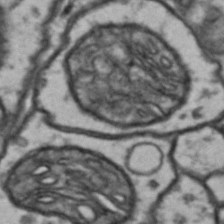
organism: Drosophila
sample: Brain